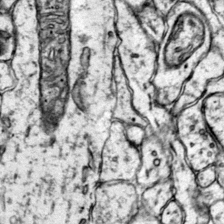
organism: Mouse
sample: Primary visual cortex